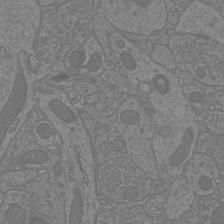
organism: Mouse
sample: Cortical neurons